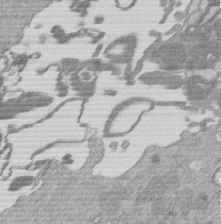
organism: Mouse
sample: Dividing mouse embryo 1 cell stage